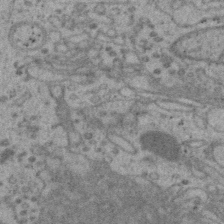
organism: Human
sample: HeLa cells